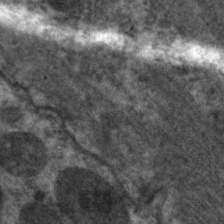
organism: C. elegans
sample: Pharynx